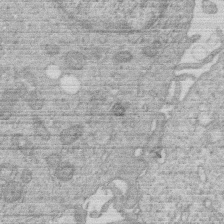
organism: Human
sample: Macrophage cells